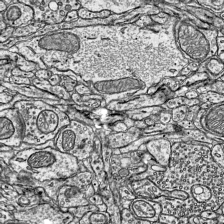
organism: Mouse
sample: Visual Cortex